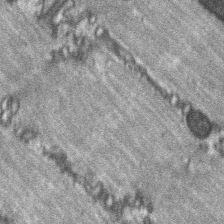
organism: C57BL Mouse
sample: Soleus